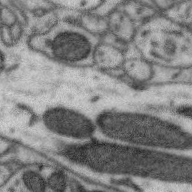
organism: Zebra finch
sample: Brain